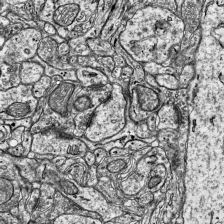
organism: Mouse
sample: Visual Cortex